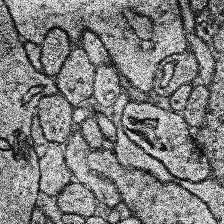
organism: Human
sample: Temporal Lobe